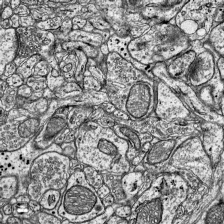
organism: Mouse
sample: Visual Cortex